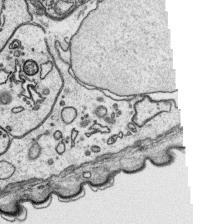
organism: Platynereis dumerilii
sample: Parapodia